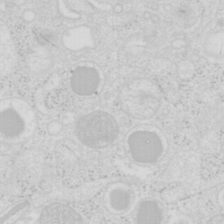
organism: Mouse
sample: Pancreas